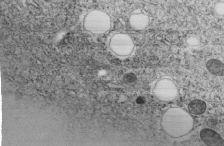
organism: C. elegans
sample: C. elegans embryo early stage